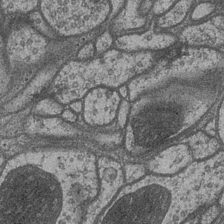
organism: Drosophila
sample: Optic medulla